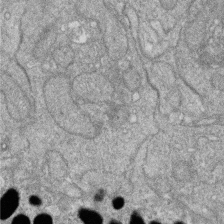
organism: Zebrafish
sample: Cilia; retinal pigment epithelium